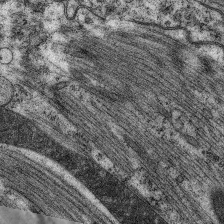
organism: C. elegans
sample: Pharynx